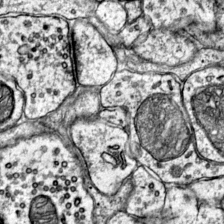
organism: Mouse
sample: Primary visual cortex